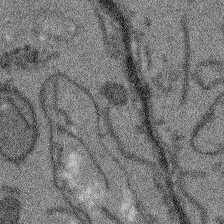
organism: Arabidopsis thaliana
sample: Root tip